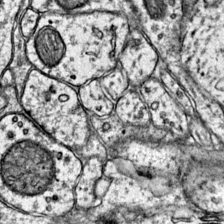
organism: Mouse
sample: Primary visual cortex